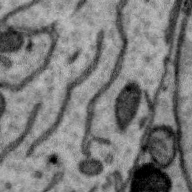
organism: Zebra finch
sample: Brain